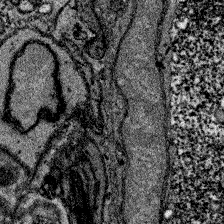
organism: Zebrafish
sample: Larval olfactory bulb